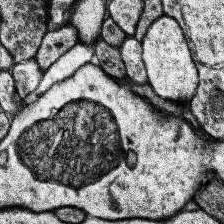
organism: Human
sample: Temporal Lobe